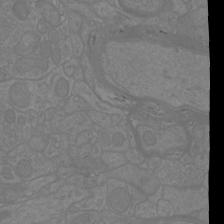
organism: Mouse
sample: Cortical neurons